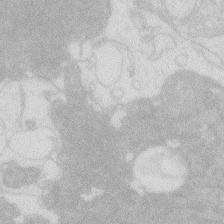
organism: Zebrafish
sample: Macrophage